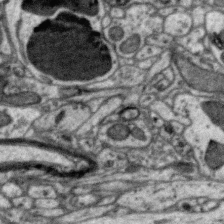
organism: Zebra finch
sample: Brain